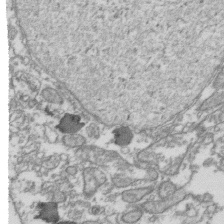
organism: Human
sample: Activated Jurkat CD4+ T cells